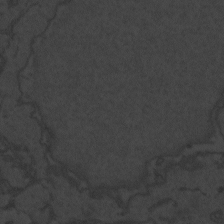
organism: Zebrafish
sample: Macrophage infected with Toxoplasma gondii